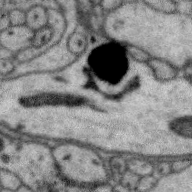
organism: Zebra finch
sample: Brain